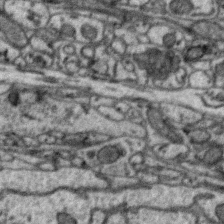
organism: Zebra finch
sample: Brain